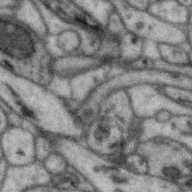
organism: Zebra finch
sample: Brain